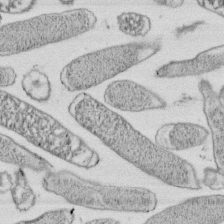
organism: E. coli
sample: Bacterial nucleoid